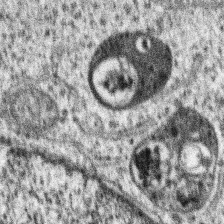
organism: Human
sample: HeLa cells